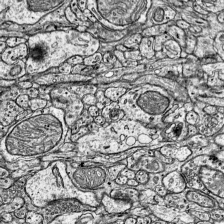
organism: Mouse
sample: Visual Cortex